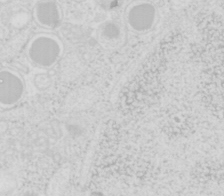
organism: Mouse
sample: Pancreas